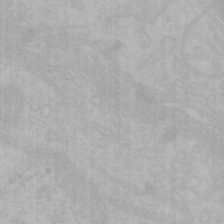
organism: Mouse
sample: Choroid plexus